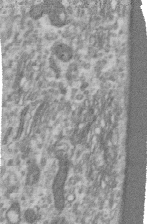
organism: Human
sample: Centriole in RPE cells